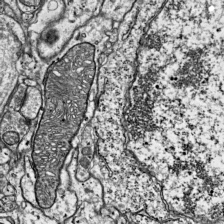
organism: Mouse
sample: Visual Cortex